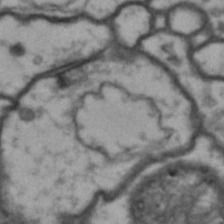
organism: Drosophila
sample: Brain